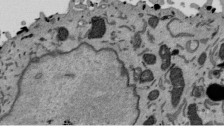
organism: Mouse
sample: ED-1 cell nuclei; centrioles